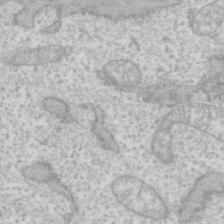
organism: Human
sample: Fibroblast cells